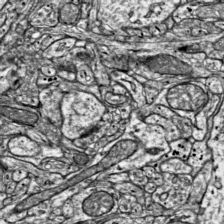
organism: Mouse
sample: Visual Cortex